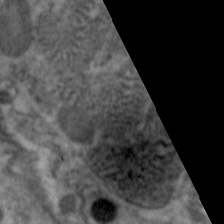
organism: C. elegans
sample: Pharynx